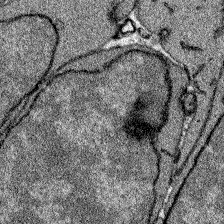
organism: Zebrafish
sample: Larval olfactory bulb